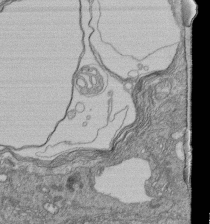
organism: Human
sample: Retinal organoid Rod and Cone cells